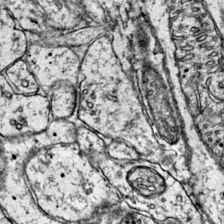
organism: Mouse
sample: Primary visual cortex